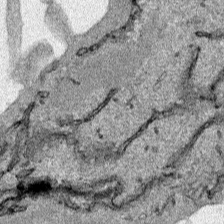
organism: Human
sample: Mitochondria in HCT116 cells